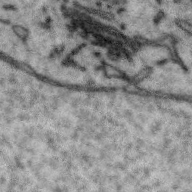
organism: Zebra finch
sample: Brain